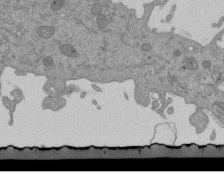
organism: Mouse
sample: ED-1 cell nuclei; centrioles